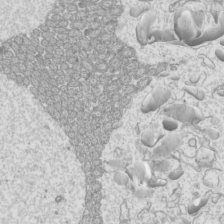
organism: Mouse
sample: Cilia; mouse epididymis